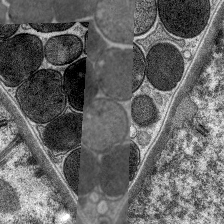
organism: C. elegans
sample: Pharynx